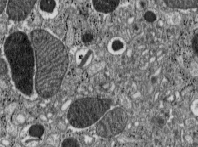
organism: C57BL Mouse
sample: Pancreatic islet